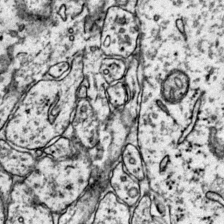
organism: Mouse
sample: Primary visual cortex